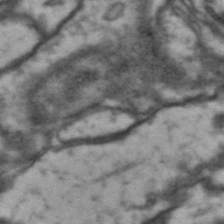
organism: Drosophila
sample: Brain